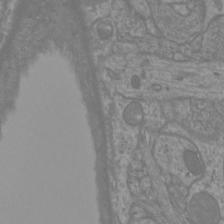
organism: Mouse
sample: Cortical neurons